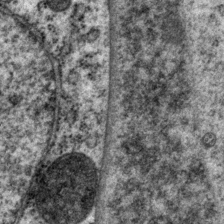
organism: P. pacificus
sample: Pharynx